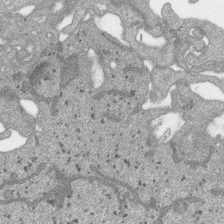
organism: Human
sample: Lung epithelial cells infected with SARS-CoV-2